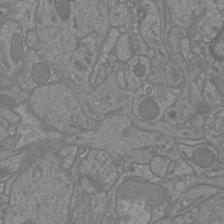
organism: Mouse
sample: Cortical neurons